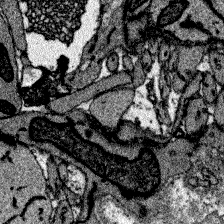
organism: Zebrafish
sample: Larval olfactory bulb